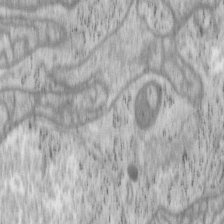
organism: Human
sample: HeLa cells